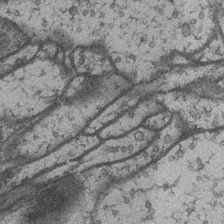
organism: Drosophila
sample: Optic medulla